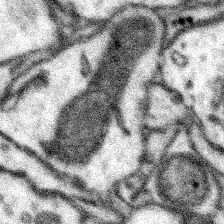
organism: Mouse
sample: Somatosensory cortex neuropil